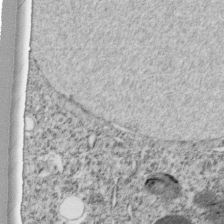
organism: C. elegans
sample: C. elegans embryo early stage